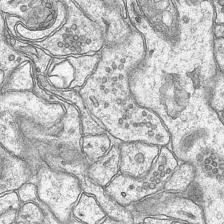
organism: Mouse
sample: CA1 Hippocampus